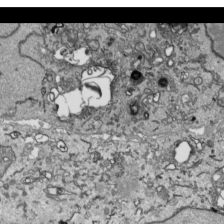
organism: Human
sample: Mitochondria in HCT116 cells